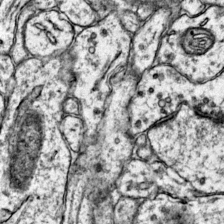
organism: Mouse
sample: Primary visual cortex